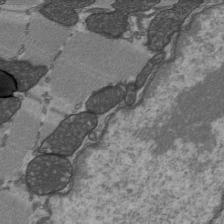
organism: C57BL Mouse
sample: Heart